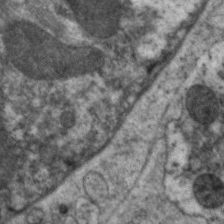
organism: C. elegans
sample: Pharynx